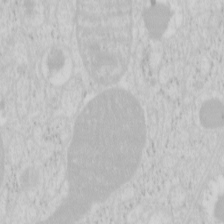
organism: Mouse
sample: Pancreas